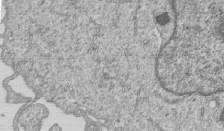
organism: Human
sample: MDA-MB-231 cells